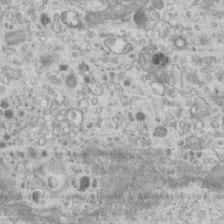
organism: Mouse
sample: Centriole in ependymal cells